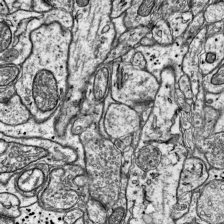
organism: Mouse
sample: Visual Cortex